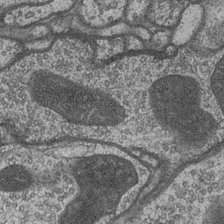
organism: Drosophila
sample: Optic medulla